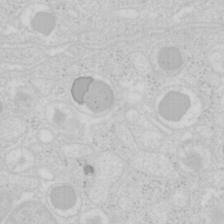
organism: Mouse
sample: Pancreas